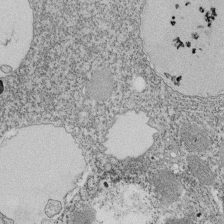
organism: Tetrahymena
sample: Cilia in tetrahymena